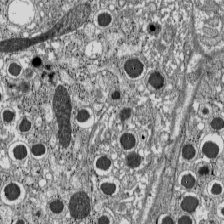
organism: C57BL Mouse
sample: Pancreatic islet